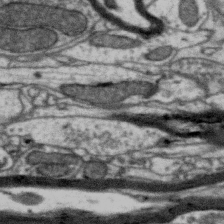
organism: Zebra finch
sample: Brain